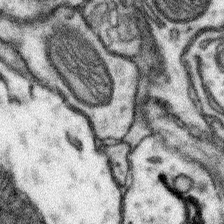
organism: Mouse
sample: Somatosensory cortex neuropil